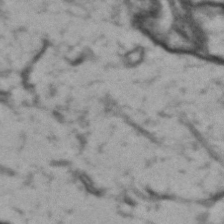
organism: Drosophila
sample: Brain